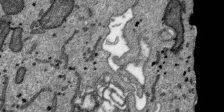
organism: Human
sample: Lung epithelial cells, uninfected (mock) control